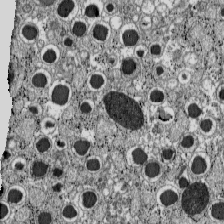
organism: C57BL Mouse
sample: Pancreatic islet